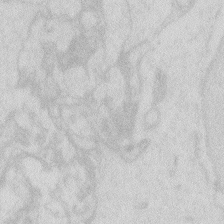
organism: Zebrafish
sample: Macrophage